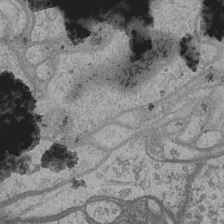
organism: Drosophila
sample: Optic medulla